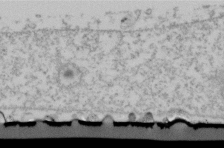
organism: Human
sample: U2-OS cells